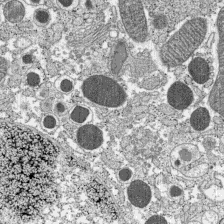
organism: C57BL Mouse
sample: Pancreatic islet